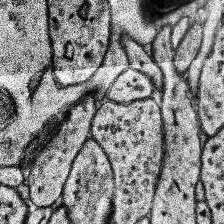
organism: Human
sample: Temporal Lobe